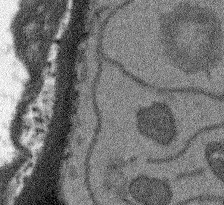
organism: Arabidopsis thaliana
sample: Root tip